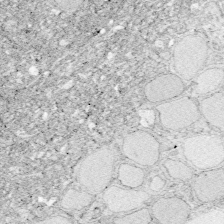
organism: Zebrafish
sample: Whole-Brain